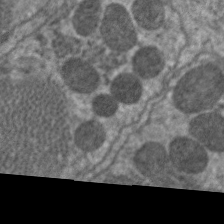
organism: C. elegans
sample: Pharynx